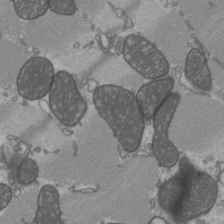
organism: C57BL Mouse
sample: Heart